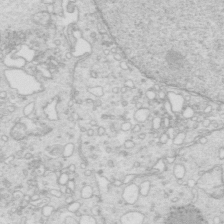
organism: Mouse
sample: Multiciliated cells